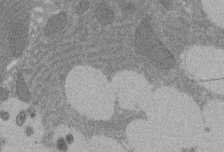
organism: Rat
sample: Salivary granule